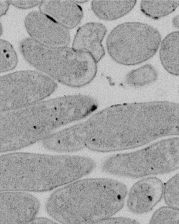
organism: E. coli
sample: Bacterial nucleoid